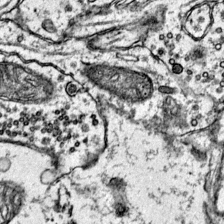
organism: Mouse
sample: Primary visual cortex